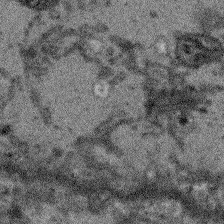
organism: Arabidopsis thaliana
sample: Root tip